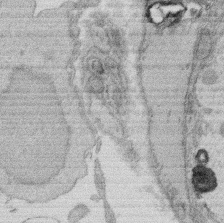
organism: Rat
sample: Salivary granule